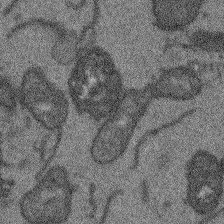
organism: Arabidopsis thaliana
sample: Root tip